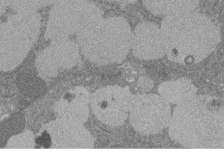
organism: Rat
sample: Salivary granule